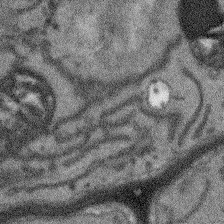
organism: Arabidopsis thaliana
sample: Root tip